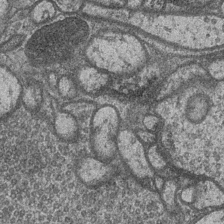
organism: Drosophila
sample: Optic medulla